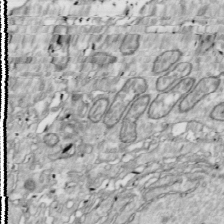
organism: Drosophila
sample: Cell division; meiosis; drosophila spermatocytes